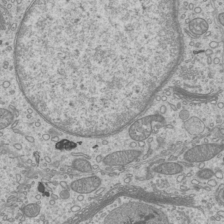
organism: Mouse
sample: Cilia; mouse epididymis